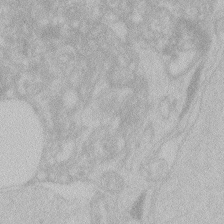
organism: Zebrafish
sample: Macrophage infected with Toxoplasma gondii